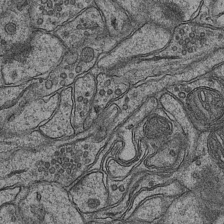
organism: Mouse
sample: CA1 Hippocampus